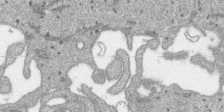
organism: Human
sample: Lung epithelial cells infected with SARS-CoV-2